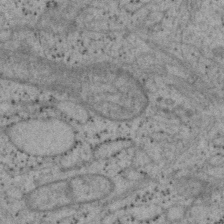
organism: Human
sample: HeLa cells